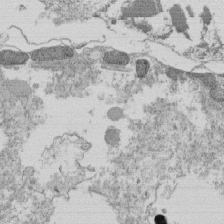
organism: Tetrahymena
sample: Cilia in tetrahymena